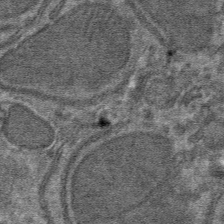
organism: Mouse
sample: Mouse hepatocytes